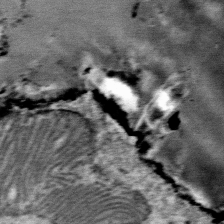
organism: Mouse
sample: Mouse Salivary gland